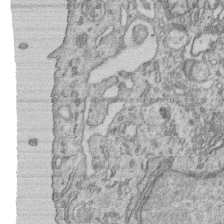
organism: Human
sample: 1205lu cells